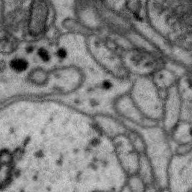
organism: Zebra finch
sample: Brain